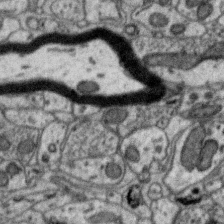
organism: Zebra finch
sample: Brain